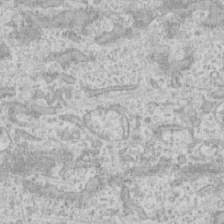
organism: Human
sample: CRL-1474